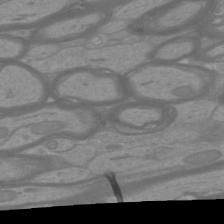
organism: Mouse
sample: Cortical neurons